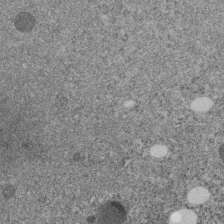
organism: C. elegans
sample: C. elegans embryo early stage